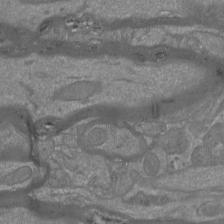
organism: Mouse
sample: Cortical neurons